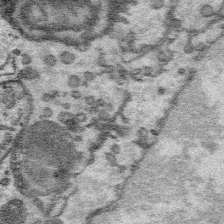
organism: Platynereis dumerilii